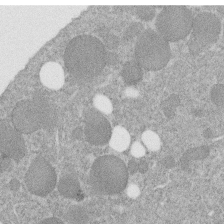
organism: C. elegans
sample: C. elegans embryo early stage